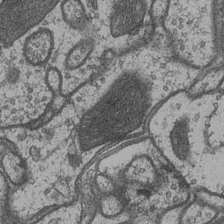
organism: Drosophila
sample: Optic medulla